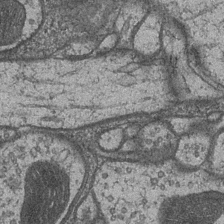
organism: Drosophila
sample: Optic medulla